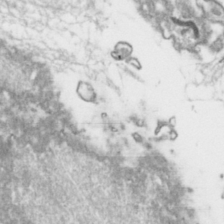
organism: Toxoplasma gondii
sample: Parasites in a vacuole inside a host cell